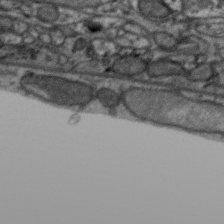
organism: Zebra finch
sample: Brain